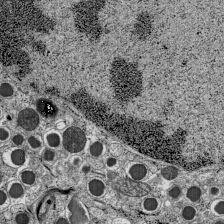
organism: C57BL Mouse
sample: Pancreatic islet